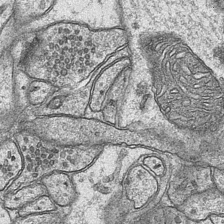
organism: Mouse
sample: CA1 Hippocampus